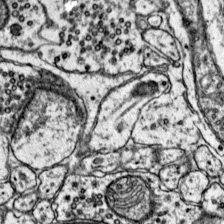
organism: Mouse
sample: Primary visual cortex